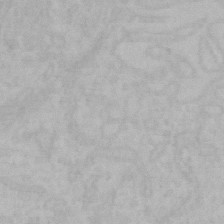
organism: Mouse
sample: Choroid plexus